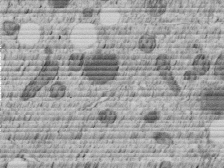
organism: C. elegans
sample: C. elegans embryo early stage